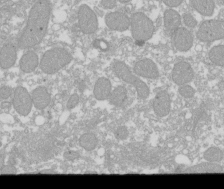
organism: Xenopus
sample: Cilia; centrioles in frog embryo cells